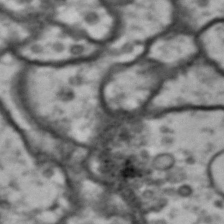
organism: Drosophila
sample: Brain